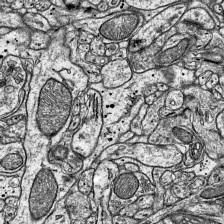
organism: Mouse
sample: Visual Cortex